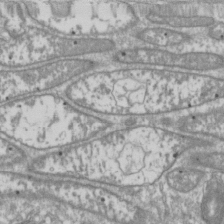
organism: Drosophila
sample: Cell division; meiosis; drosophila spermatocytes